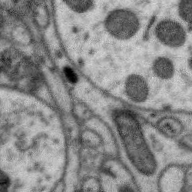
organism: Zebra finch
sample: Brain